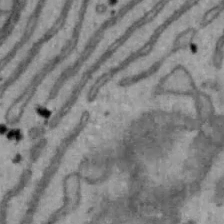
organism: Mouse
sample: Liver